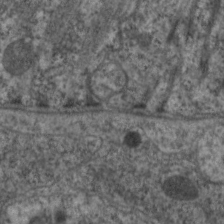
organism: C. elegans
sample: Pharynx